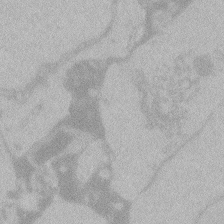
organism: Zebrafish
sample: Macrophage infected with Toxoplasma gondii